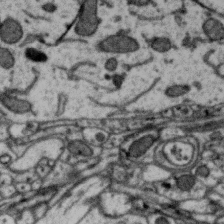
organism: Zebra finch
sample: Brain